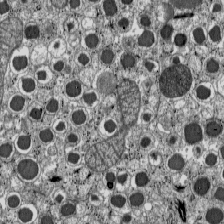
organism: C57BL Mouse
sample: Pancreatic islet